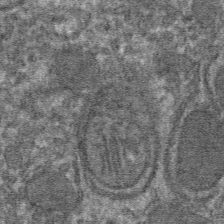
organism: Mouse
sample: Mouse hepatocytes